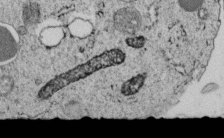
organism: C. elegans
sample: C. elegans embryo early stage